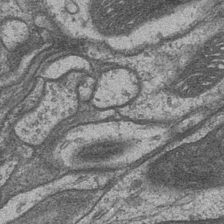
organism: Drosophila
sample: Optic medulla